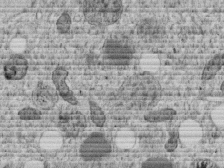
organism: C. elegans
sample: C. elegans embryo early stage